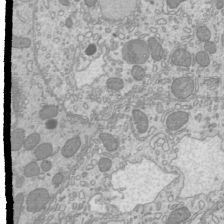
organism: Mouse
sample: Cilia; mouse epididymis